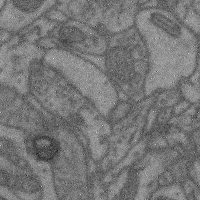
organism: Mouse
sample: Cerebral cortex